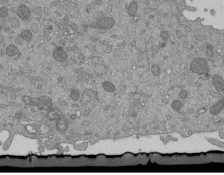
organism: Mouse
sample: ED-1 cell nuclei; centrioles